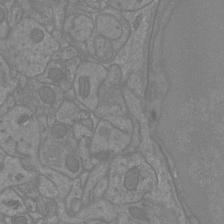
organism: Mouse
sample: Cortical neurons